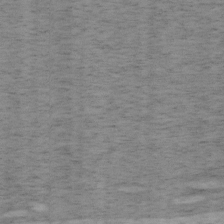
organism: Mouse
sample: OT-I killer T cells with ID8 ovarian cancer cells